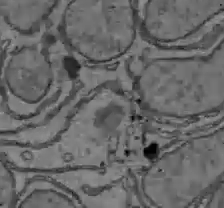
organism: C57BL Mouse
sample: Liver